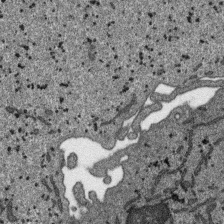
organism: Human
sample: Lung epithelial cells infected with SARS-CoV-2